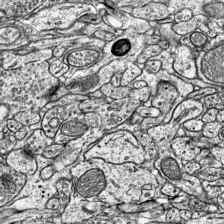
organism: Mouse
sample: Visual Cortex